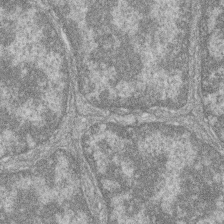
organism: Zebrafish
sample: Cilia; retinal pigment epithelium